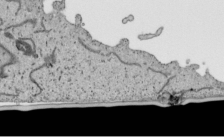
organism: Human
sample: Mitochondria in HCT116 cells